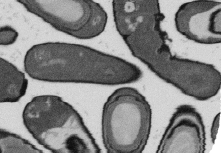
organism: B. subtilis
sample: Bacterial spore